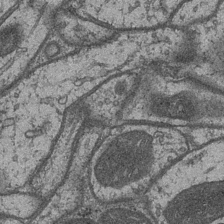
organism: Drosophila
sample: Optic medulla